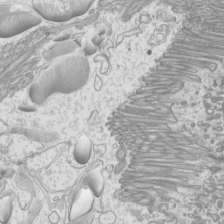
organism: Mouse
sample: Cilia; mouse epididymis